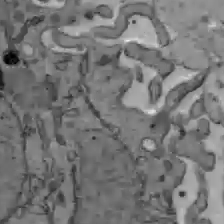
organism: C57BL Mouse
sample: Liver